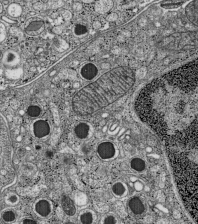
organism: C57BL Mouse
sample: Pancreatic islet